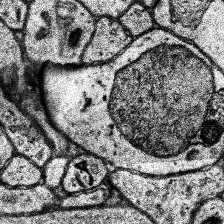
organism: Human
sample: Temporal Lobe